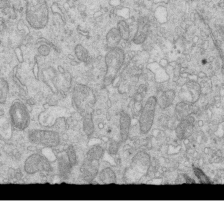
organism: Mouse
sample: Multiciliated cells